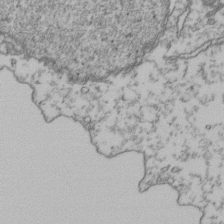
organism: Human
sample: Activated Jurkat CD4+ T cells